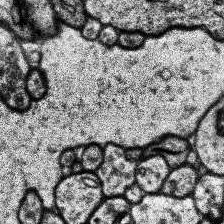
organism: Human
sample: Temporal Lobe